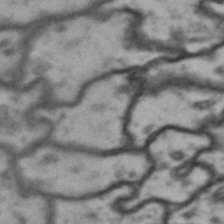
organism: Drosophila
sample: Brain